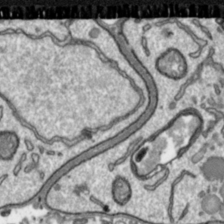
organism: Toxoplasma gondii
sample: Parasites in a vacuole inside a host cell